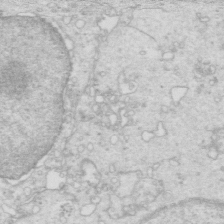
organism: Mouse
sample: Multiciliated cells